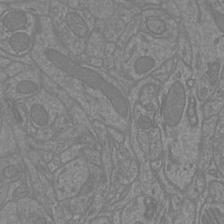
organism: Mouse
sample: Cortical neurons